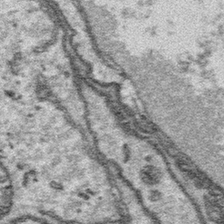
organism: Platynereis dumerilii